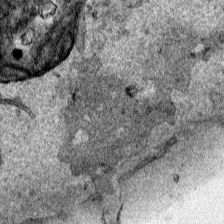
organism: Human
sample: Mitochondria in HCT116 cells